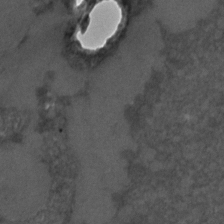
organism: C. elegans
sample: C. elegans embryo